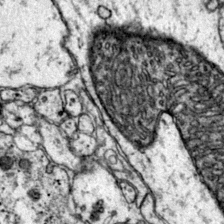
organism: Mouse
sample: Primary visual cortex